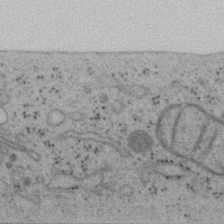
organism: Human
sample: HeLa cells